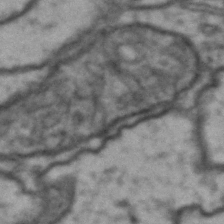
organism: Drosophila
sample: Brain